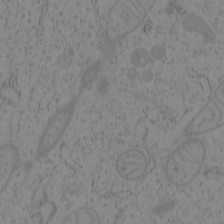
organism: Human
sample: HeLa cells